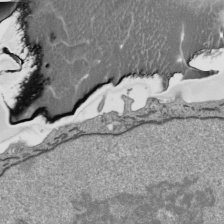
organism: Human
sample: Mitochondria in HCT116 cells